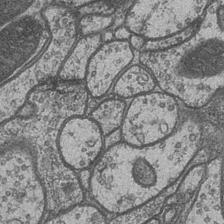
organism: Drosophila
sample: Optic medulla